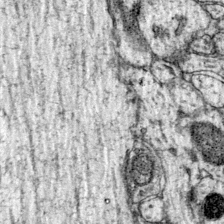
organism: Mouse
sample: Primary visual cortex